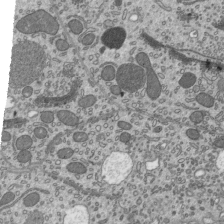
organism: Mouse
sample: Mouse epididymis efferent ductule cilia